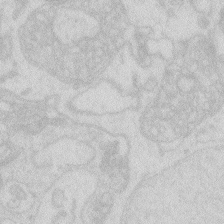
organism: Zebrafish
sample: Macrophage